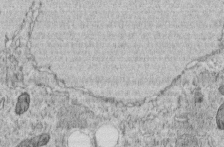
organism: C. elegans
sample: C. elegans embryo early stage